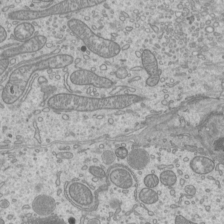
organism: Mouse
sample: Cilia; mouse epididymis